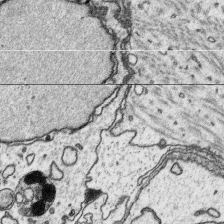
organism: Platynereis dumerilii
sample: Parapodia